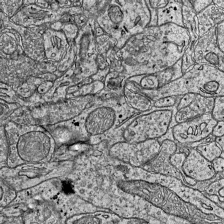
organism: Mouse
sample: Visual Cortex